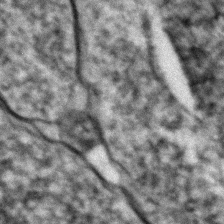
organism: Zebrafish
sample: Zebrafish embryo